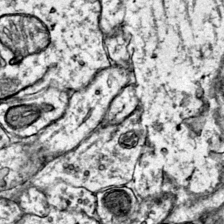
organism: Mouse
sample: Primary visual cortex